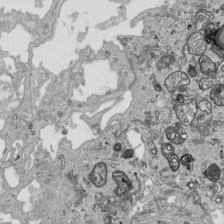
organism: Human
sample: Mitochondria in HCT116 cells